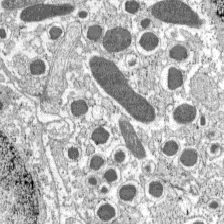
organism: C57BL Mouse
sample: Pancreatic islet